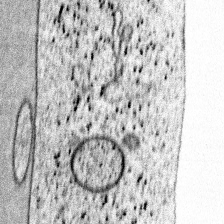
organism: Human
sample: HeLa cells